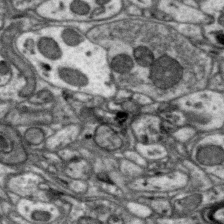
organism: Zebra finch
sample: Brain